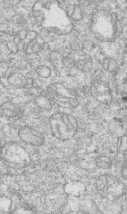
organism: Human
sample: HeLa cell HIV synapse